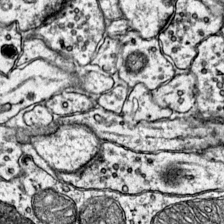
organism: Mouse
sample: Primary visual cortex